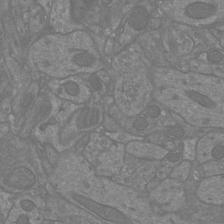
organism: Mouse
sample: Cortical neurons